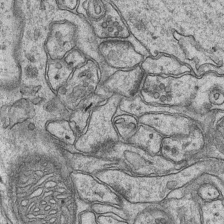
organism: Mouse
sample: CA1 Hippocampus